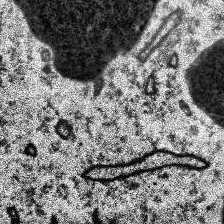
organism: Human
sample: Temporal Lobe